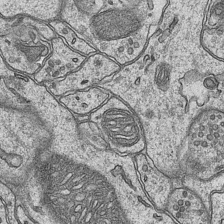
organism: Mouse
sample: CA1 Hippocampus